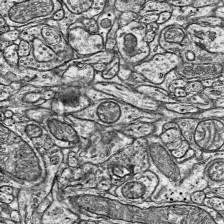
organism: Mouse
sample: Visual Cortex